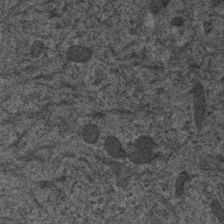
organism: Human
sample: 1205lu cells